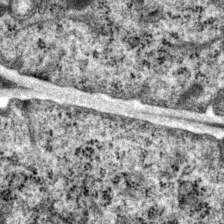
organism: P. pacificus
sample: Pharynx